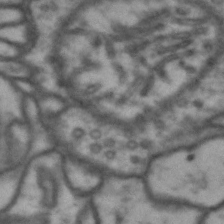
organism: Drosophila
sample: Brain